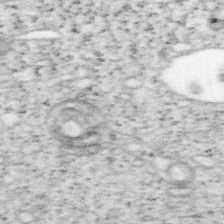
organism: Mouse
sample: OT-I killer T cells with ID8 ovarian cancer cells